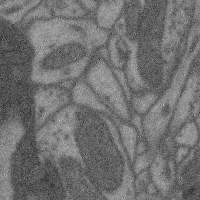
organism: Mouse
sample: Cerebral cortex